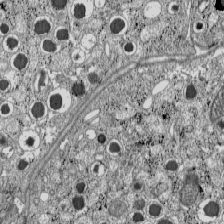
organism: C57BL Mouse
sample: Pancreatic islet